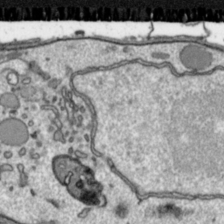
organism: Toxoplasma gondii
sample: Parasites in a vacuole inside a host cell